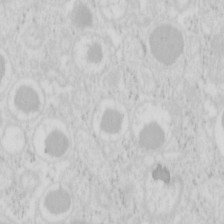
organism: Mouse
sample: Pancreas